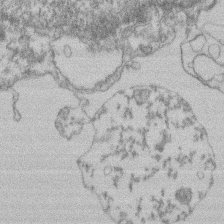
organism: Mouse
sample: T cell stromal cell synapse